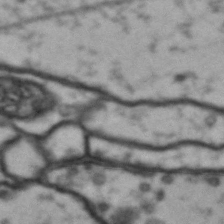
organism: Drosophila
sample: Brain